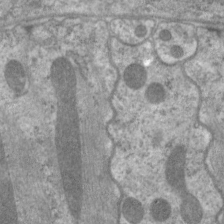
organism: C. elegans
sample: Pharynx